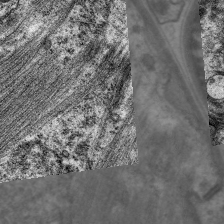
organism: C. elegans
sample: Pharynx